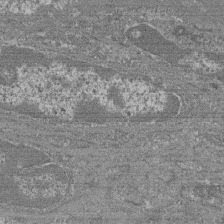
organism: Mouse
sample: Glomerulus